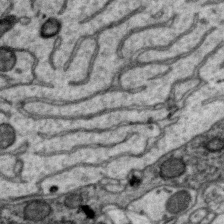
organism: Zebra finch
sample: Brain